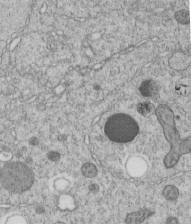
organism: C. elegans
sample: C. elegans embryo early stage